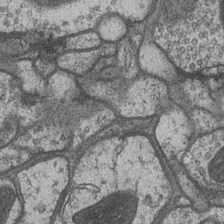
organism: Drosophila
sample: Optic medulla